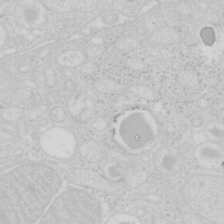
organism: Mouse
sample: Pancreas